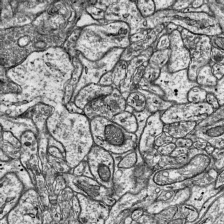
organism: Mouse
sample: Visual Cortex